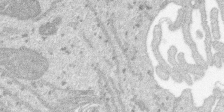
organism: Human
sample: Lung epithelial cells infected with SARS-CoV-2